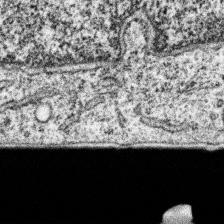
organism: Human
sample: HeLa cells